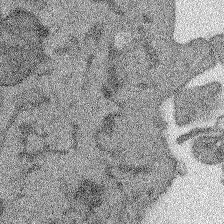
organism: Human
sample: HeLa cells